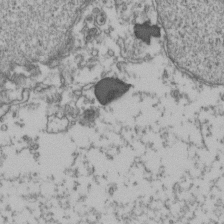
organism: Human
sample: Activated Jurkat CD4+ T cells